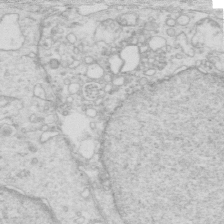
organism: Mouse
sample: Multiciliated cells